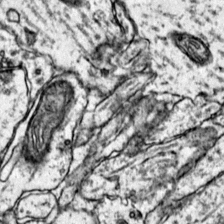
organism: Mouse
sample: Primary visual cortex